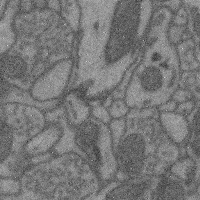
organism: Mouse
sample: Cerebral cortex